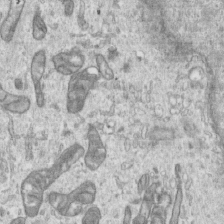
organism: Human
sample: Centriole in RPE cells